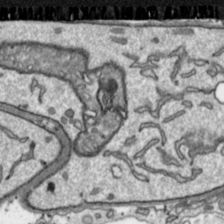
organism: Toxoplasma gondii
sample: Parasites in a vacuole inside a host cell